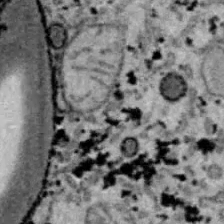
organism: Mouse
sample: Liver from an obese (ob/ob) mouse